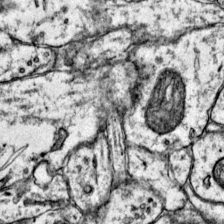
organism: Mouse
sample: Primary visual cortex